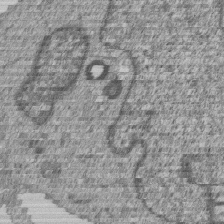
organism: Human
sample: MDA-MB-231 cells